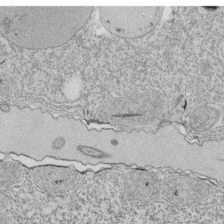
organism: Tetrahymena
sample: Cilia in tetrahymena